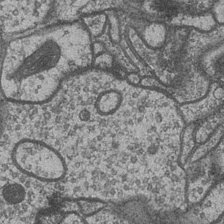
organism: Drosophila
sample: Optic medulla